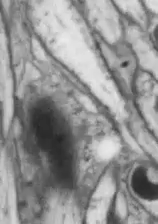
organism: Drosophila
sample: Optic lobe